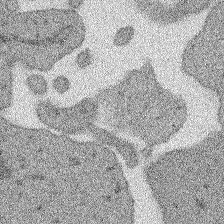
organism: Human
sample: HeLa cells